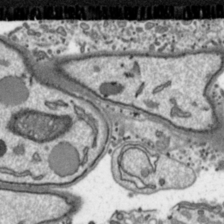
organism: Toxoplasma gondii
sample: Parasites in a vacuole inside a host cell